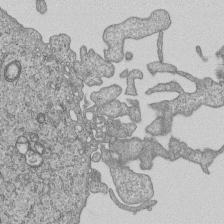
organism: Human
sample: MDA-MB-231 cells